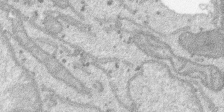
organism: Human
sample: Lung epithelial cells infected with SARS-CoV-2